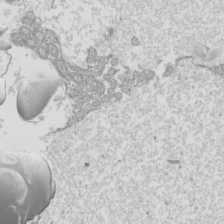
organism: Mouse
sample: Cilia; mouse epididymis